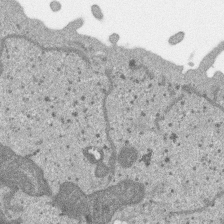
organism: Human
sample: Lung epithelial cells infected with SARS-CoV-2